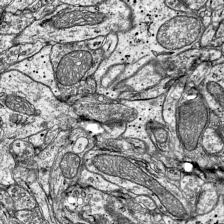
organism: Mouse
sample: Visual Cortex